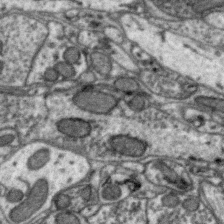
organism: Zebra finch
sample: Brain